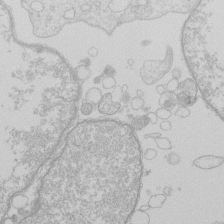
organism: Human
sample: Macrophage cells